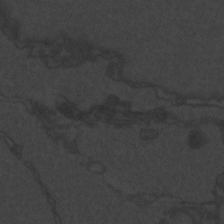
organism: Zebrafish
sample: Macrophage infected with Toxoplasma gondii